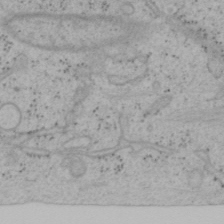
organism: Human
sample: HeLa cells